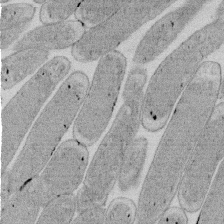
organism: E. coli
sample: Bacterial nucleoid